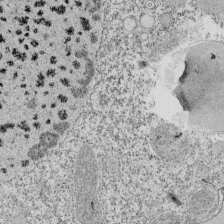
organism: Tetrahymena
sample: Cilia in tetrahymena